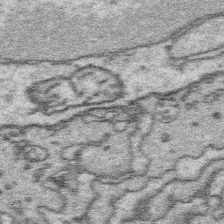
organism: Platynereis dumerilii